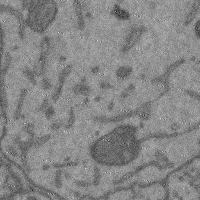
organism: Mouse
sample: Cerebral cortex